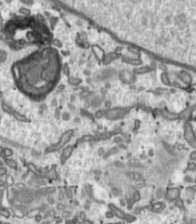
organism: Toxoplasma gondii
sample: Parasites in a vacuole inside a host cell